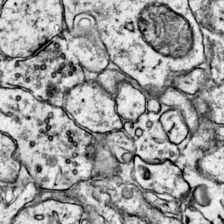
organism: Mouse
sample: Primary visual cortex